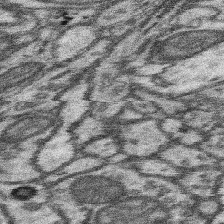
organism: Mouse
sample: Somatosensory cortex neuropil